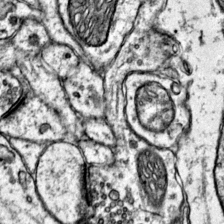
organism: Mouse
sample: Primary visual cortex